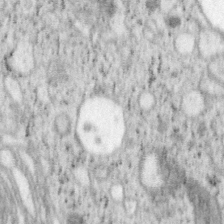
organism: Mouse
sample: OT-I killer T cells with ID8 ovarian cancer cells